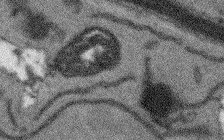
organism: Arabidopsis thaliana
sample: Root tip